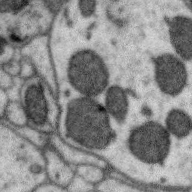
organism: Zebra finch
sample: Brain